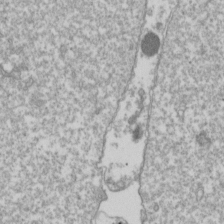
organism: Drosophila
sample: Cell division; meiosis; drosophila spermatocytes